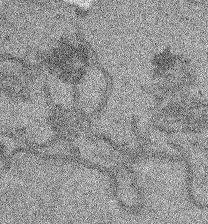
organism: Human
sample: HeLa cells